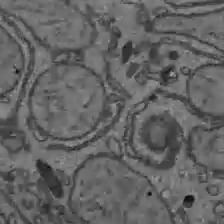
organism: C57BL Mouse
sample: Liver